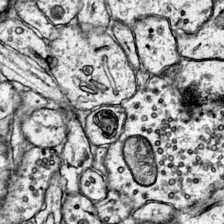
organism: Mouse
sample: Primary visual cortex